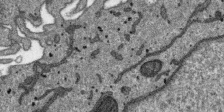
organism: Human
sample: Lung epithelial cells, uninfected (mock) control